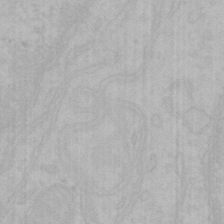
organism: Mouse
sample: Choroid plexus